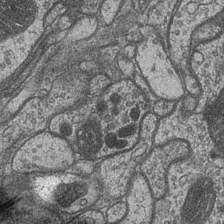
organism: Drosophila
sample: Optic medulla